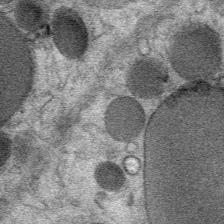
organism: Mouse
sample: Mouse Salivary gland